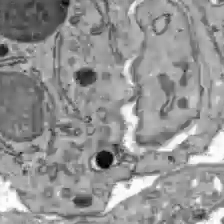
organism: C57BL Mouse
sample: Liver